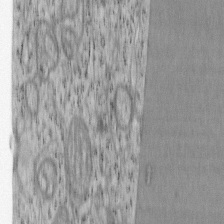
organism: Human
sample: HeLa cells